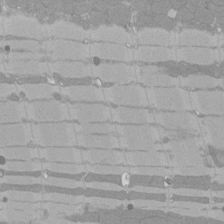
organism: Rat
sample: Left ventricle